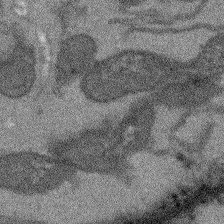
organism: Arabidopsis thaliana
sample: Root tip